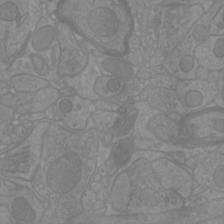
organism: Mouse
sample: Cortical neurons